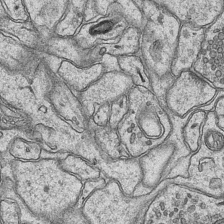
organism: Mouse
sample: CA1 Hippocampus